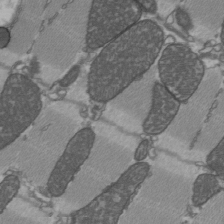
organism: C57BL Mouse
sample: Heart